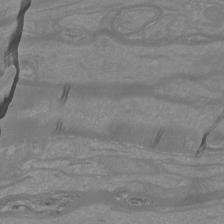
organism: Mouse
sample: Cortical neurons